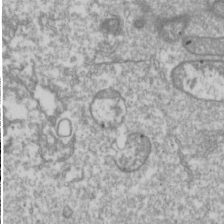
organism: Drosophila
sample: Cell division; meiosis; drosophila spermatocytes